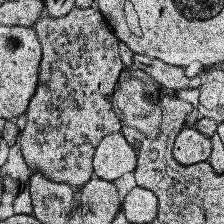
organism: Human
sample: Temporal Lobe